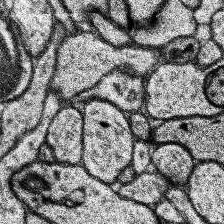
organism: Human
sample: Temporal Lobe